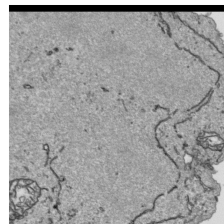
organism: Human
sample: Mitochondria in HCT116 cells